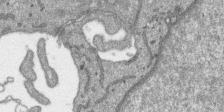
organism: Human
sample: Lung epithelial cells infected with SARS-CoV-2